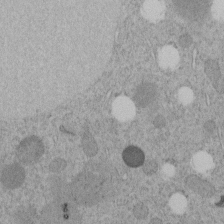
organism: C. elegans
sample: C. elegans embryo early stage